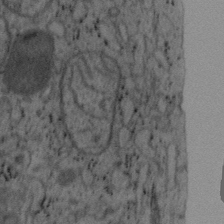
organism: Human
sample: HeLa cells